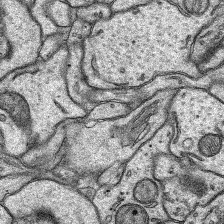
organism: Rat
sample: Hippocampus